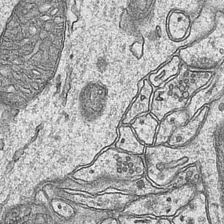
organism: Mouse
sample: CA1 Hippocampus